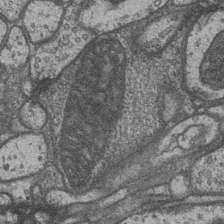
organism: Drosophila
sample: Optic medulla